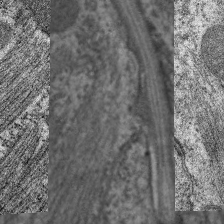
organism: C. elegans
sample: Pharynx